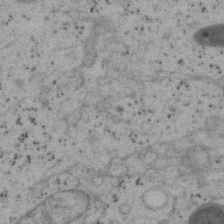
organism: Human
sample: HeLa cells